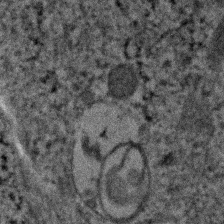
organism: Human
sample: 1205lu cells